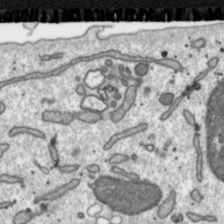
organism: Toxoplasma gondii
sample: Parasites in a vacuole inside a host cell